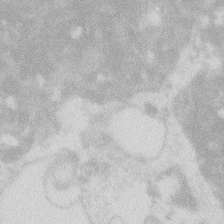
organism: Zebrafish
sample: Macrophage